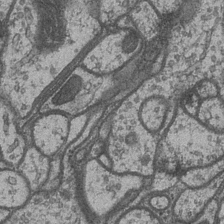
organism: Drosophila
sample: Optic medulla